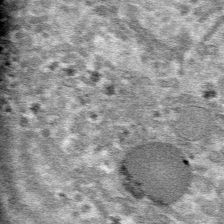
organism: Mouse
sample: Mouse hepatocytes